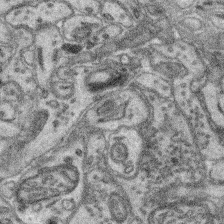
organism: Mouse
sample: Retina